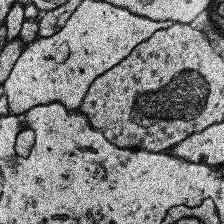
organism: Human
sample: Temporal Lobe